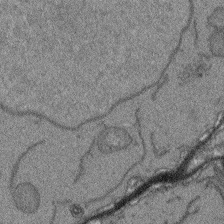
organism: Arabidopsis thaliana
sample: Root tip